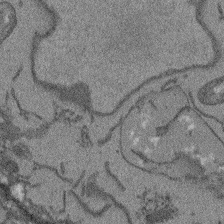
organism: Arabidopsis thaliana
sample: Root tip